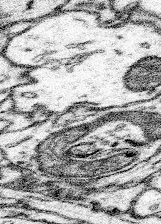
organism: Mouse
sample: Somatosensory cortex neuropil